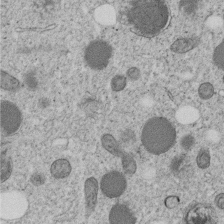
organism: C. elegans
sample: C. elegans embryo early stage